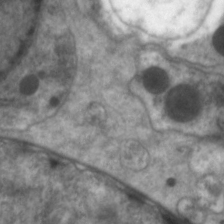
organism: C. elegans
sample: Pharynx